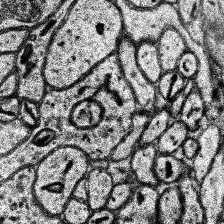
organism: Human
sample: Temporal Lobe